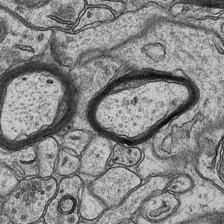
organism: Mouse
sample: CA1 Hippocampus